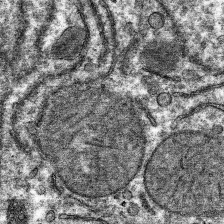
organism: Mouse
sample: Mouse hepatocytes